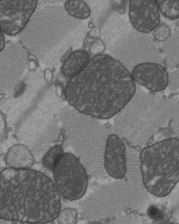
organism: C57BL Mouse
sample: Heart